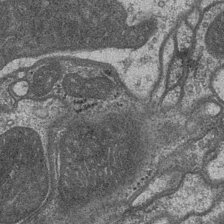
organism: Drosophila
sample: Optic medulla